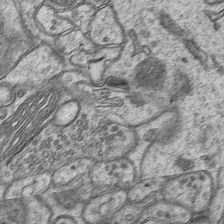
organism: Mouse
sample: CA1 Hippocampus